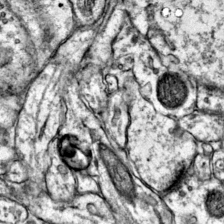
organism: Mouse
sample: Primary visual cortex